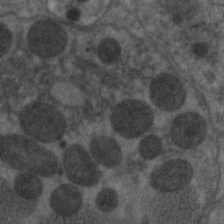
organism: C. elegans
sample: Pharynx